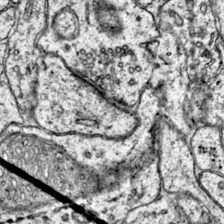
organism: Mouse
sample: Primary visual cortex